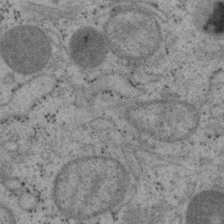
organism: Human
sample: HeLa cells